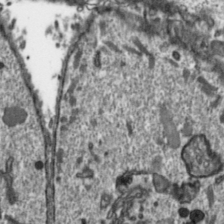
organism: Toxoplasma gondii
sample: Parasites in a vacuole inside a host cell